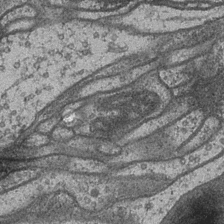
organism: Drosophila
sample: Optic medulla